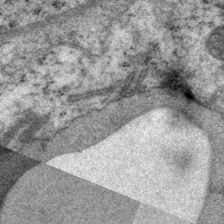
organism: P. pacificus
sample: Pharynx